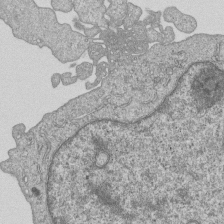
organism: Human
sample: MDA-MB-231 cells